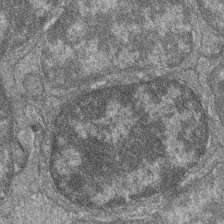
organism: Zebrafish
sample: Cilia; retinal pigment epithelium